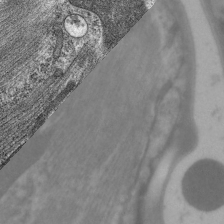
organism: C. elegans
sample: Pharynx